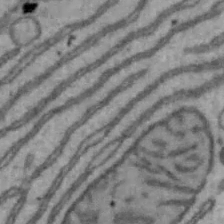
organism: Mouse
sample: Liver